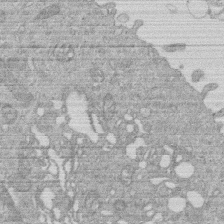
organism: Human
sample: Macrophage cells